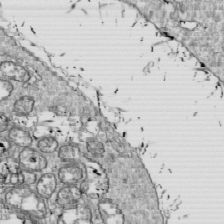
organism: Drosophila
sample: Cell division; meiosis; drosophila spermatocytes